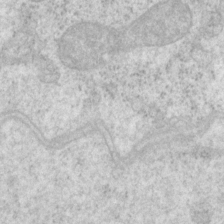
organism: P. pacificus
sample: Pharynx